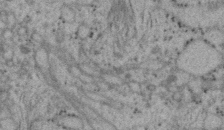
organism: Human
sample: HeLa cells